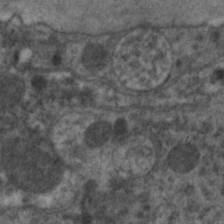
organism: C. elegans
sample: Pharynx